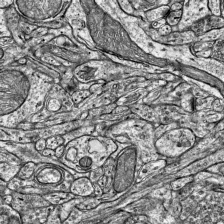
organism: Mouse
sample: Visual Cortex